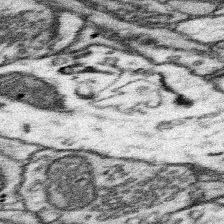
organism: Mouse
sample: Somatosensory cortex neuropil